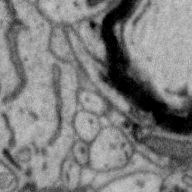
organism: Zebra finch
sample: Brain